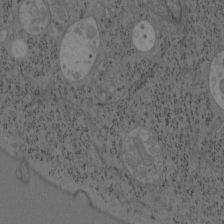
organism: Mouse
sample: OT-I killer T cells with ID8 ovarian cancer cells